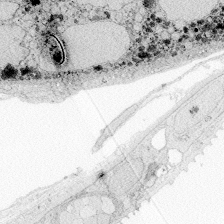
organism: Zebrafish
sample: Whole-Brain